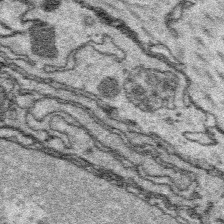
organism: Platynereis dumerilii